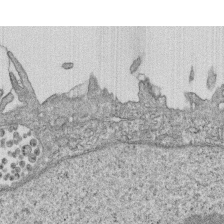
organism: Human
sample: HeLa cell HIV synapse